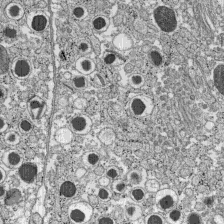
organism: C57BL Mouse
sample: Pancreatic islet